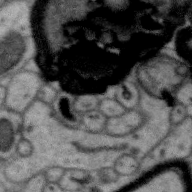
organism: Zebra finch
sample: Brain